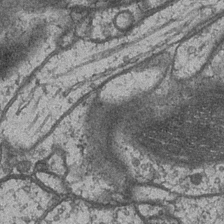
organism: Drosophila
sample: Optic medulla